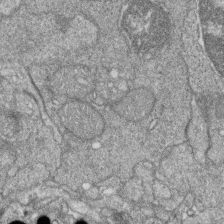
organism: Zebrafish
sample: Cilia; retinal pigment epithelium